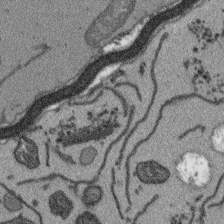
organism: Arabidopsis thaliana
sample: Root tip